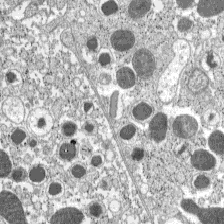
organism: C57BL Mouse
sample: Pancreatic islet